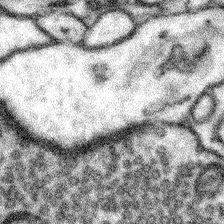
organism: Mouse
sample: Somatosensory cortex neuropil